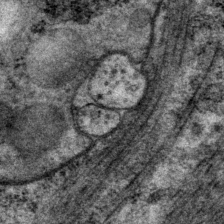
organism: P. pacificus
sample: Pharynx